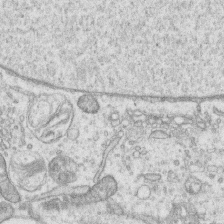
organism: Human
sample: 1205lu cells